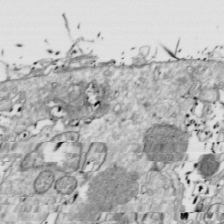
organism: Drosophila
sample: Cell division; meiosis; drosophila spermatocytes